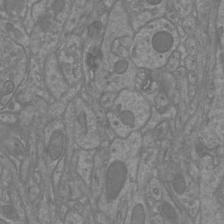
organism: Mouse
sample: Cortical neurons